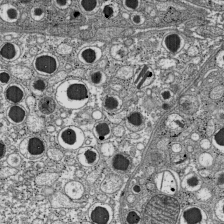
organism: C57BL Mouse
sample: Pancreatic islet